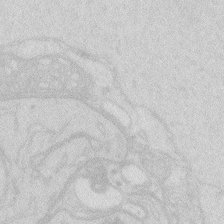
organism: Zebrafish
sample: Macrophage